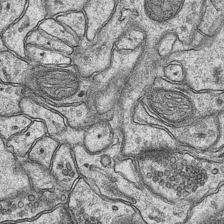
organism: Mouse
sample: CA1 Hippocampus